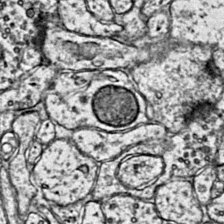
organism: Mouse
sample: Primary visual cortex